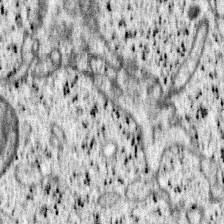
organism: Human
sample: HeLa cells